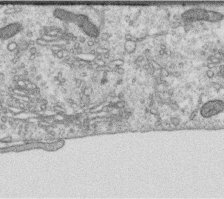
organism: Human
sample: Centriole in RPE cells